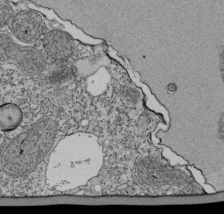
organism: Tetrahymena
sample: Cilia in tetrahymena